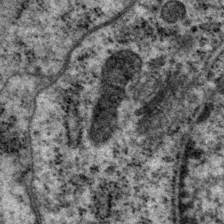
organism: P. pacificus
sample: Pharynx